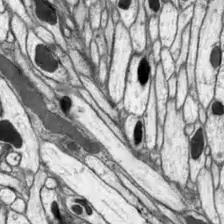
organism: Drosophila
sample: Optic lobe